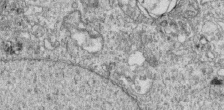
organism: Human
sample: HeLa cell HIV synapse